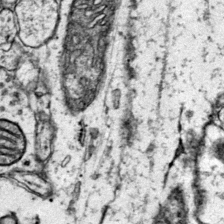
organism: Mouse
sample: Primary visual cortex